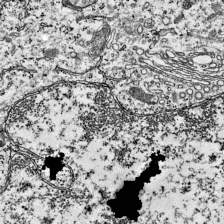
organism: Mouse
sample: Visual Cortex